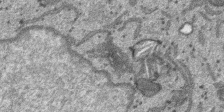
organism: Human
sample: Lung epithelial cells infected with SARS-CoV-2